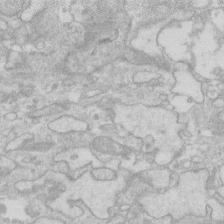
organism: Human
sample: Fibroblast cells